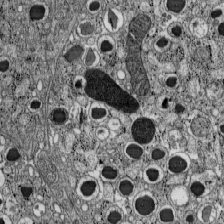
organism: C57BL Mouse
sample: Pancreatic islet